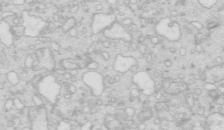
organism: Mouse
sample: Multiciliated cells